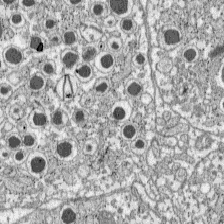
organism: C57BL Mouse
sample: Pancreatic islet